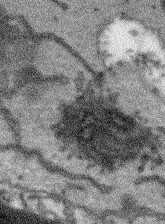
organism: Arabidopsis thaliana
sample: Root tip